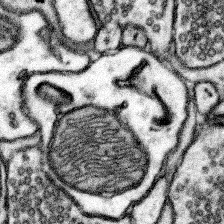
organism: Mouse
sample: Somatosensory cortex neuropil